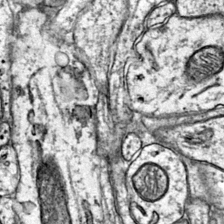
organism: Mouse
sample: Primary visual cortex